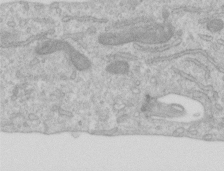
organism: Human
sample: Centriole in RPE cells